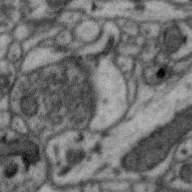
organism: Zebra finch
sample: Brain